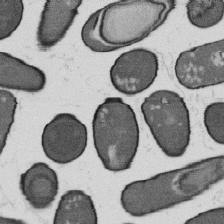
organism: B. subtilis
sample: Bacterial spore